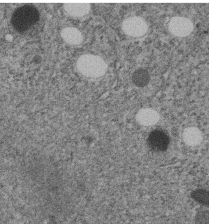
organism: C. elegans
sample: C. elegans embryo early stage